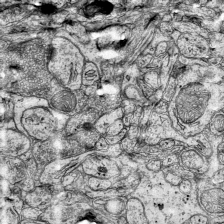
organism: Mouse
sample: Visual Cortex